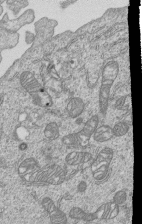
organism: Human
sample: MDA-MB-231 cells